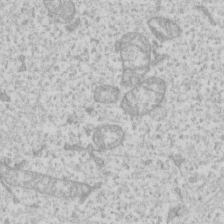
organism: Human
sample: Fibroblast cells